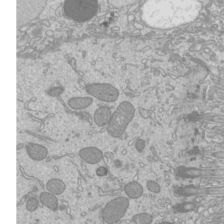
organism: Mouse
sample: Cilia; mouse epididymis